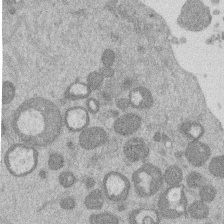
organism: Mouse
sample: Dividing mouse embryo 1 cell stage